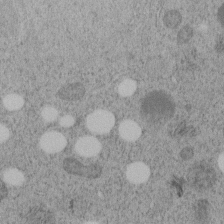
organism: C. elegans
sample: C. elegans embryo early stage